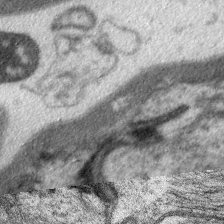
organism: C. elegans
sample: Pharynx